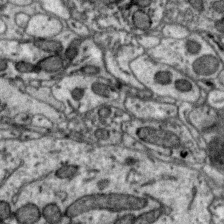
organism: Zebra finch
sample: Brain